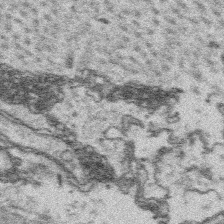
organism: Platynereis dumerilii